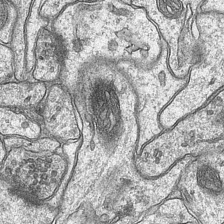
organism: Mouse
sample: CA1 Hippocampus